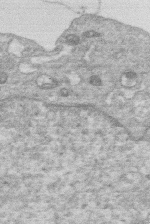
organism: Human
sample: Macrophage cells